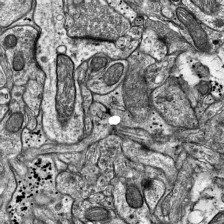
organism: Mouse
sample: Visual Cortex